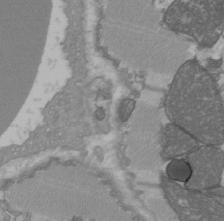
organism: C57BL Mouse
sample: Heart